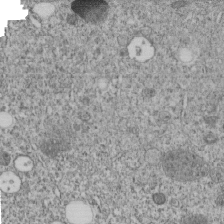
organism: C. elegans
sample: C. elegans embryo early stage